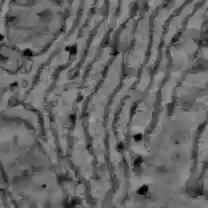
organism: C57BL Mouse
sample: Liver